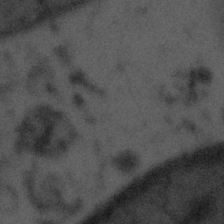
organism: Tuwongella immobilis